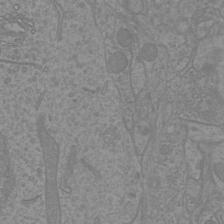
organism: Mouse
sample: Cortical neurons